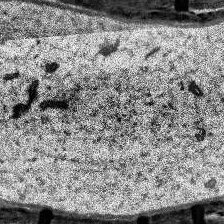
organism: Human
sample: Temporal Lobe